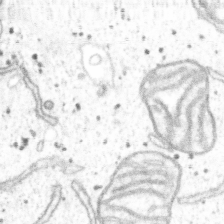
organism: Human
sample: HeLa cells